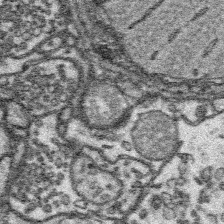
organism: Platynereis dumerilii